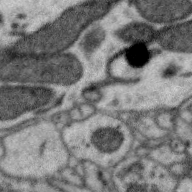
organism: Zebra finch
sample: Brain